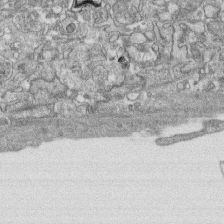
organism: Human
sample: CRL-1474